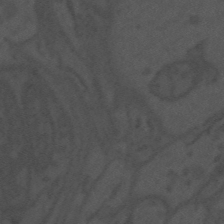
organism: Mouse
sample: Suprachiasmatic nucleus